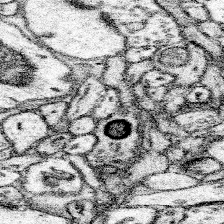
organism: Mouse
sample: Somatosensory cortex neuropil